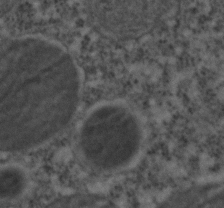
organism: C. elegans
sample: C. elegans embryo